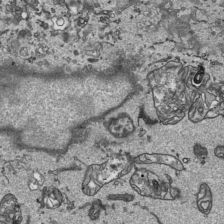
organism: Human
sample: Mitochondria in HCT116 cells